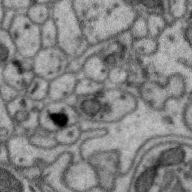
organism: Zebra finch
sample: Brain